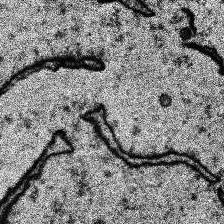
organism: Human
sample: Temporal Lobe